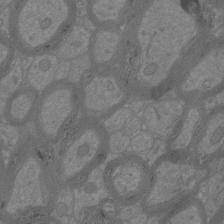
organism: Mouse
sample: Cortical neurons